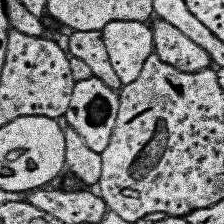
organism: Human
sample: Temporal Lobe